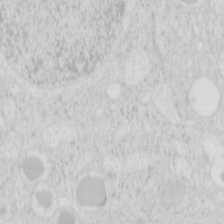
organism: Mouse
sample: Pancreas